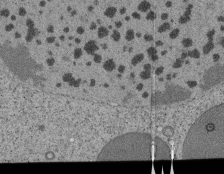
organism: Tetrahymena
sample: Cilia in tetrahymena